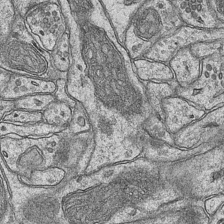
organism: Mouse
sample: CA1 Hippocampus